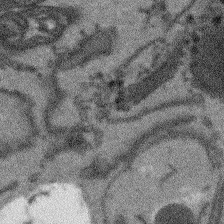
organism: Arabidopsis thaliana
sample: Root tip